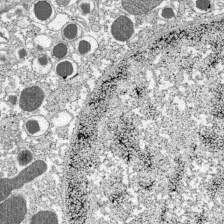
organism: C57BL Mouse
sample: Pancreatic islet